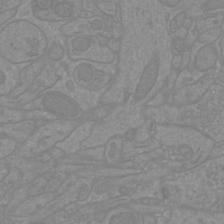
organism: Mouse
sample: Cortical neurons